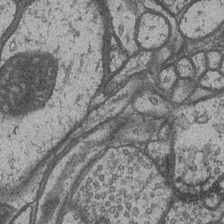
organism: Drosophila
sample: Optic medulla